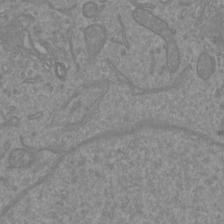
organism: Mouse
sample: Cortical neurons